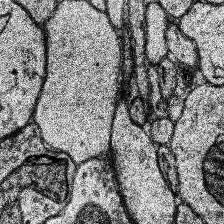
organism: Human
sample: Temporal Lobe